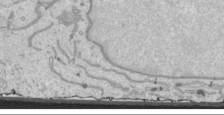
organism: Human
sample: Mitochondria in HCT116 cells